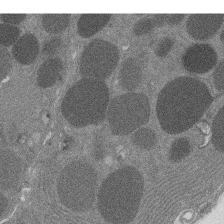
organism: Rat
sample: Salivary granule